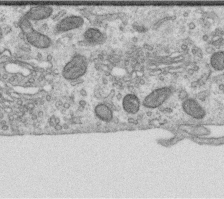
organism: Human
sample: Centriole in RPE cells